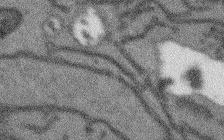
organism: Arabidopsis thaliana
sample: Root tip